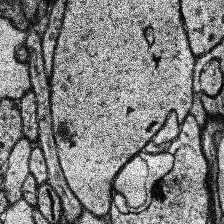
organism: Human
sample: Temporal Lobe